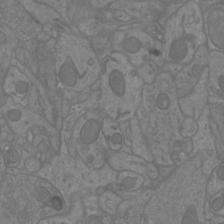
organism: Mouse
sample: Cortical neurons